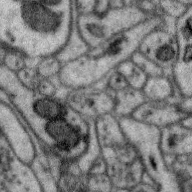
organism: Zebra finch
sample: Brain